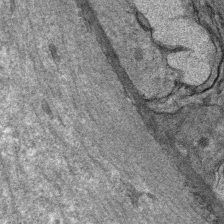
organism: Mouse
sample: Mouse Salivary gland